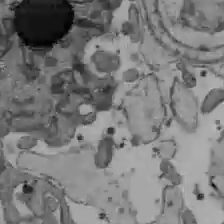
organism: C57BL Mouse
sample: Liver